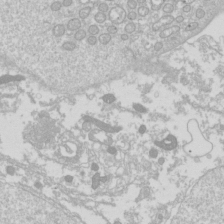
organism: Drosophila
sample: Cell division; meiosis; drosophila spermatocytes